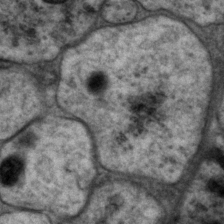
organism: P. pacificus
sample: Pharynx